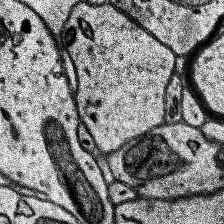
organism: Human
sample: Temporal Lobe